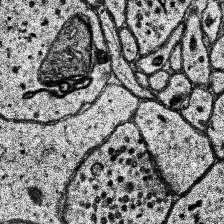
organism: Human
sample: Temporal Lobe